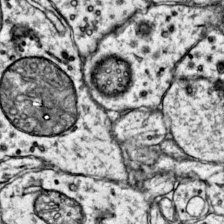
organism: Mouse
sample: Primary visual cortex